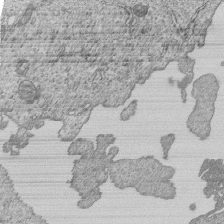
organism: Human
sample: MDA-MB-231 cells